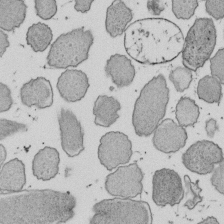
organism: E. coli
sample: Bacterial nucleoid